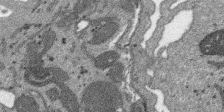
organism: Human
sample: Lung epithelial cells infected with SARS-CoV-2